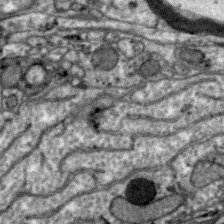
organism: Zebra finch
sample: Brain